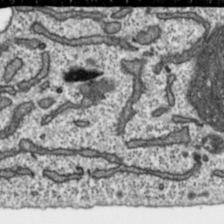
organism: Toxoplasma gondii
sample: Parasites in a vacuole inside a host cell